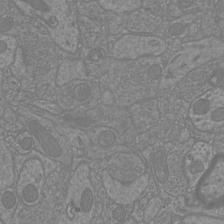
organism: Mouse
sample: Cortical neurons